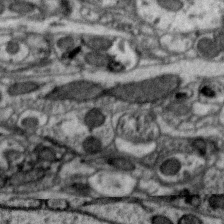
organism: Zebra finch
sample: Brain